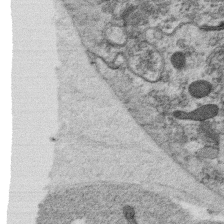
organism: C. elegans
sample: C. elegans oocyte; sperm cells